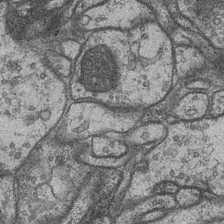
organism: Drosophila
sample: Optic medulla